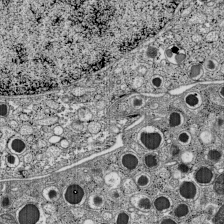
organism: C57BL Mouse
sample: Pancreatic islet